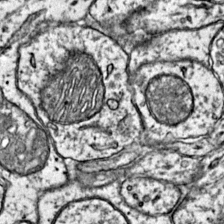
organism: Mouse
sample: Primary visual cortex